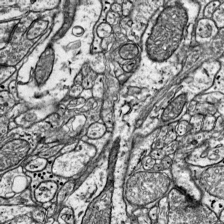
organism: Mouse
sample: Visual Cortex